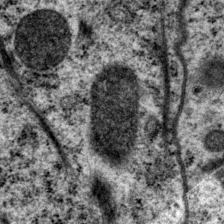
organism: P. pacificus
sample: Pharynx